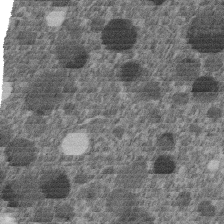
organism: C. elegans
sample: C. elegans embryo early stage